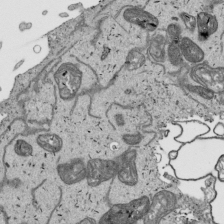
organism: Human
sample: Mitochondria in HCT116 cells